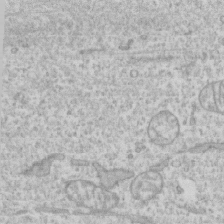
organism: Human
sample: CRL-1474